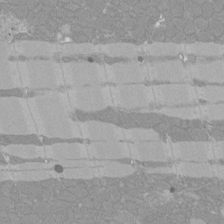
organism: Rat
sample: Left ventricle